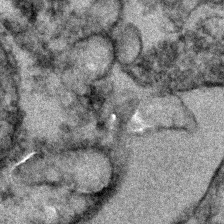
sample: Kidney